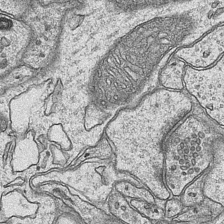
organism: Mouse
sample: CA1 Hippocampus